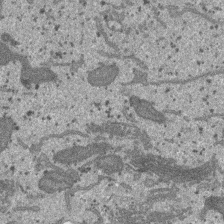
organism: Human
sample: Lung epithelial cells infected with SARS-CoV-2